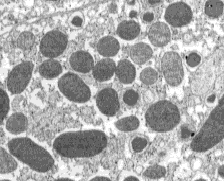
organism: C57BL Mouse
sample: Pancreatic islet